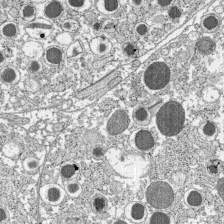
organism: C57BL Mouse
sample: Pancreatic islet